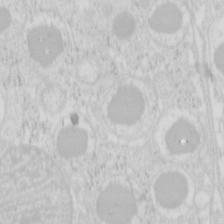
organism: Mouse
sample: Pancreas